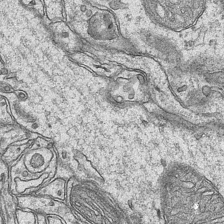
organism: Mouse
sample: CA1 Hippocampus